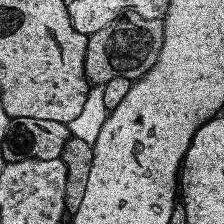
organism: Human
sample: Temporal Lobe